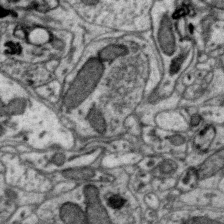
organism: Zebra finch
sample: Brain